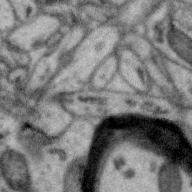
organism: Zebra finch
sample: Brain